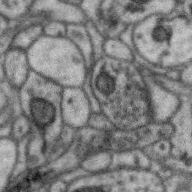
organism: Zebra finch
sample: Brain